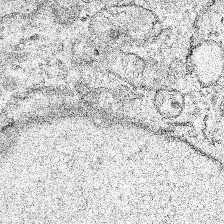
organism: Human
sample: Mitochondria in HCT116 cells